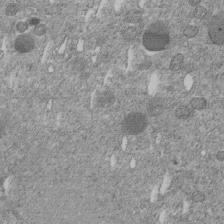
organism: C. elegans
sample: C. elegans embryo early stage